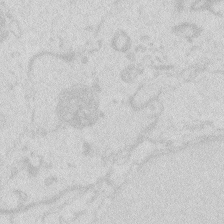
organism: Zebrafish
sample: Macrophage